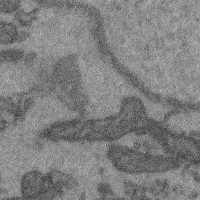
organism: Mouse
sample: Cerebral cortex